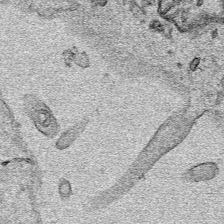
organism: Human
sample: Mitochondria in HCT116 cells